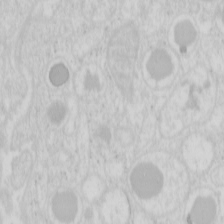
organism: Mouse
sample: Pancreas